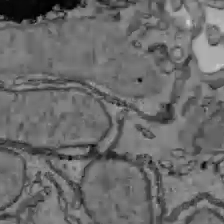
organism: C57BL Mouse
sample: Liver